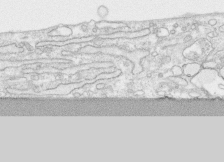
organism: Human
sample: CRL-1474